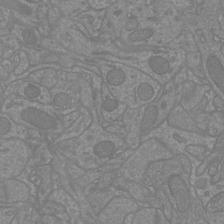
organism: Mouse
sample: Cortical neurons